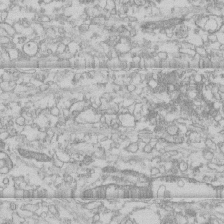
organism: Human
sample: CRL-1474